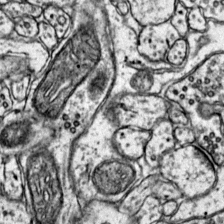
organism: Mouse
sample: Primary visual cortex